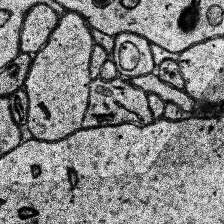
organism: Human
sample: Temporal Lobe